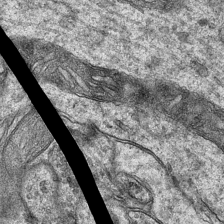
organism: Mouse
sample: CA1 Hippocampus